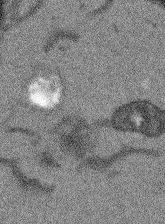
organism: Arabidopsis thaliana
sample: Root tip